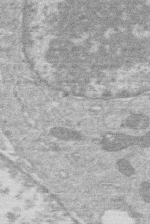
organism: Human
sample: Macrophage cells